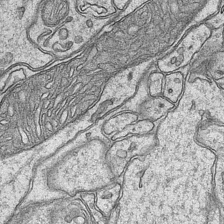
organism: Mouse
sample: CA1 Hippocampus